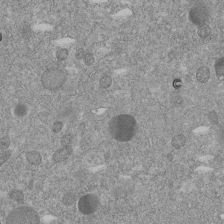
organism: C. elegans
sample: C. elegans embryo early stage